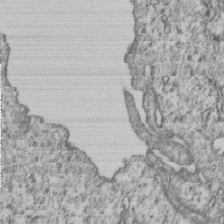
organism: Human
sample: MDA-MB-231 cells